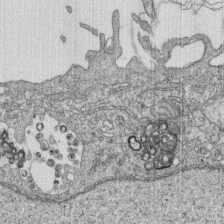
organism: Human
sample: HeLa cell HIV synapse